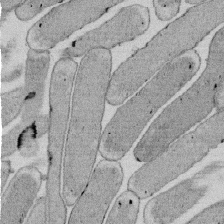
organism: E. coli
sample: Bacterial nucleoid